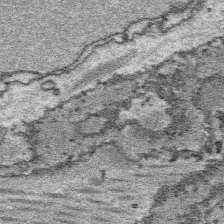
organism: Platynereis dumerilii